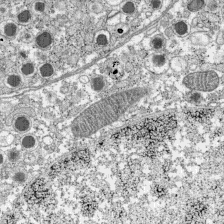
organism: C57BL Mouse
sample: Pancreatic islet